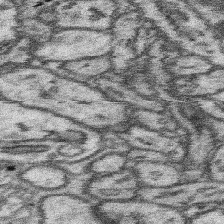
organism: Mouse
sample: Somatosensory cortex neuropil